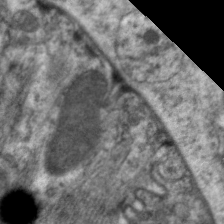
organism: C. elegans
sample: Pharynx